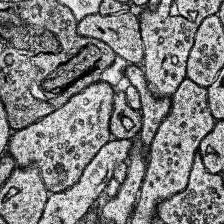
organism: Human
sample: Temporal Lobe